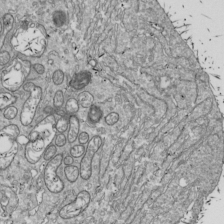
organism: Drosophila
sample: Cell division; meiosis; drosophila spermatocytes